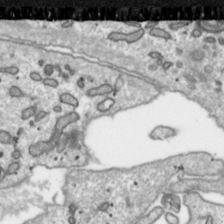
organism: Toxoplasma gondii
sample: Parasites in a vacuole inside a host cell